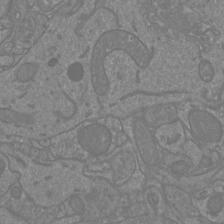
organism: Mouse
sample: Cortical neurons